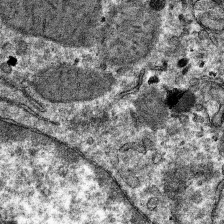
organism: Mouse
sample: Mouse hepatocytes